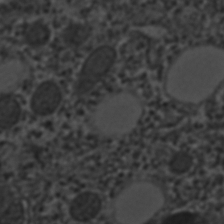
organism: C. elegans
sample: C. elegans embryo